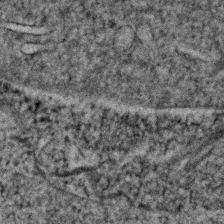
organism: Human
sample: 1205lu cells